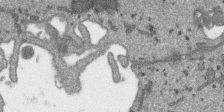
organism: Human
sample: Lung epithelial cells infected with SARS-CoV-2